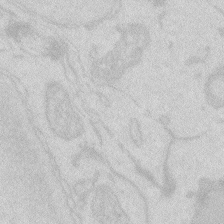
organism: Zebrafish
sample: Macrophage